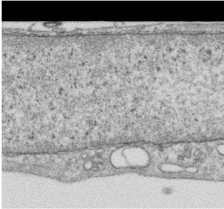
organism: Human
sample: Centriole in RPE cells